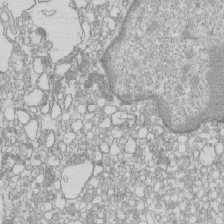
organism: Mouse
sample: Macrophages